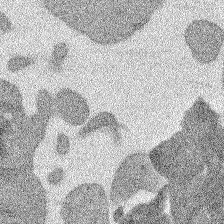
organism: Human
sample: HeLa cells